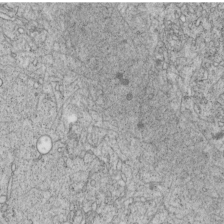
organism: C. elegans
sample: C. elegans embryo early stage